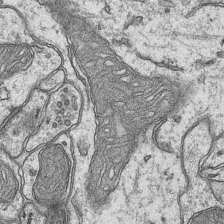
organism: Mouse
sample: CA1 Hippocampus